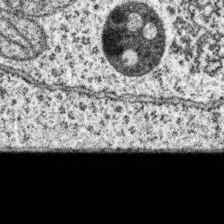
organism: Human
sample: HeLa cells